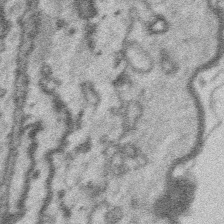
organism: Platynereis dumerilii